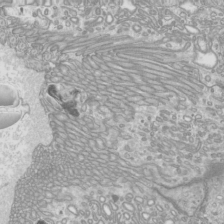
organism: Mouse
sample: Cilia; mouse epididymis